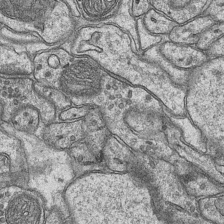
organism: Mouse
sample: CA1 Hippocampus